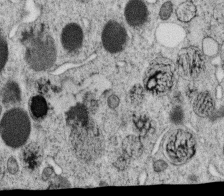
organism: C. elegans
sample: C. elegans oocyte; sperm cells